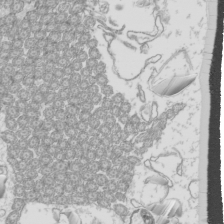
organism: Mouse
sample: Cilia; mouse epididymis